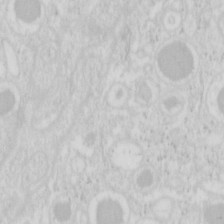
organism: Mouse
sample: Pancreas